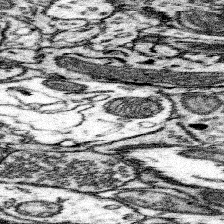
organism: Mouse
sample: Somatosensory cortex neuropil